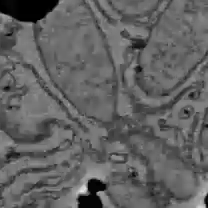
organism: C57BL Mouse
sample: Liver